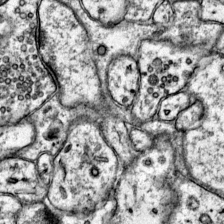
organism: Mouse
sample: Primary visual cortex